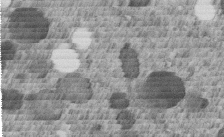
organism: C. elegans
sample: C. elegans embryo early stage